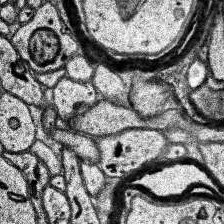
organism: Human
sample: Temporal Lobe